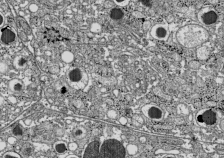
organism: C57BL Mouse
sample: Pancreatic islet